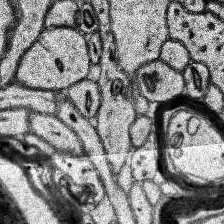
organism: Human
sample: Temporal Lobe